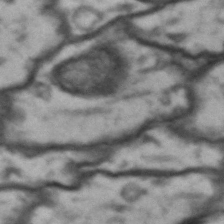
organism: Drosophila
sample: Brain